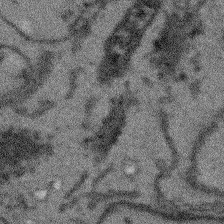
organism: Arabidopsis thaliana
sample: Root tip